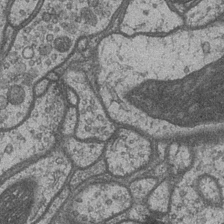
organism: Drosophila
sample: Optic medulla